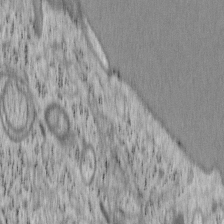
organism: Human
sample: HeLa cells